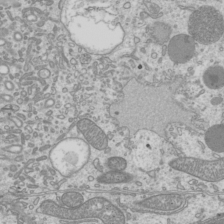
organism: Mouse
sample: Cilia; mouse epididymis